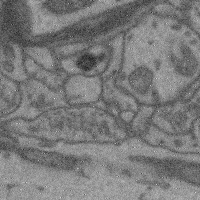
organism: Mouse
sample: Cerebral cortex